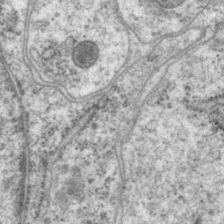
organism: P. pacificus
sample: Pharynx